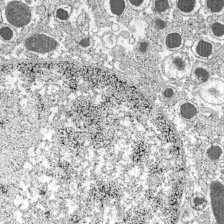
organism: C57BL Mouse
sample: Pancreatic islet